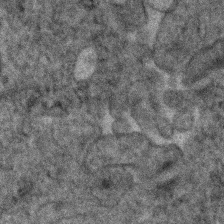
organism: Human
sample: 1205lu cells